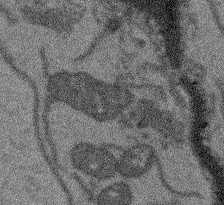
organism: Arabidopsis thaliana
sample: Root tip